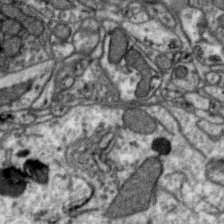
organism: Zebra finch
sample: Brain